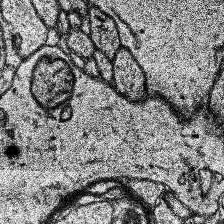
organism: Human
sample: Temporal Lobe